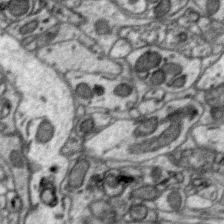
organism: Zebra finch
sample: Brain